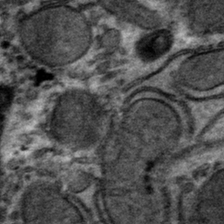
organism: Mouse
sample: Mouse hepatocytes